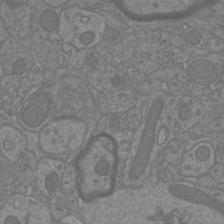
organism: Mouse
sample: Cortical neurons